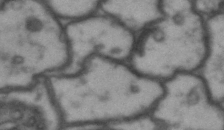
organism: Drosophila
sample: Brain